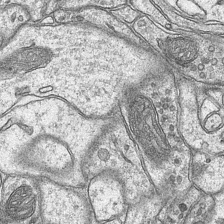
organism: Mouse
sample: CA1 Hippocampus